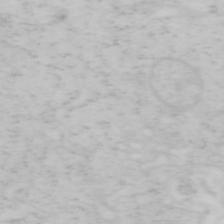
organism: Mouse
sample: OT-I killer T cells with ID8 ovarian cancer cells